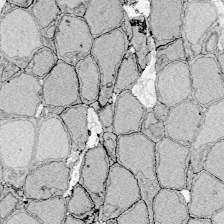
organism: Zebrafish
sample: Whole-Brain